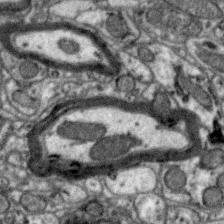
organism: Zebra finch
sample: Brain